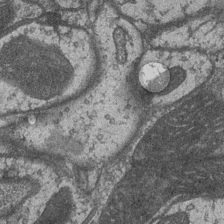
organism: Drosophila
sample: Optic medulla